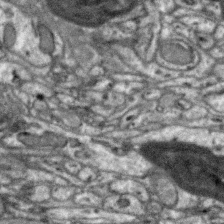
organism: Zebra finch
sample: Brain